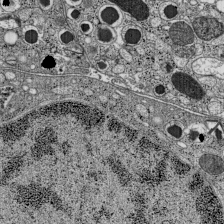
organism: C57BL Mouse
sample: Pancreatic islet